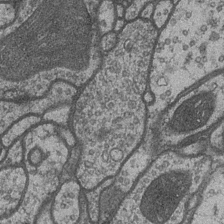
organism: Drosophila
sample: Optic medulla